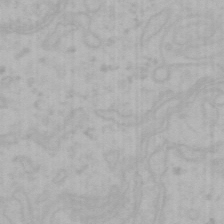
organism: Mouse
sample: Choroid plexus